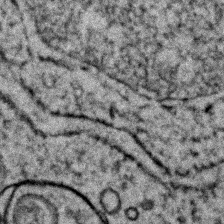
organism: Zebrafish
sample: Zebrafish embryo